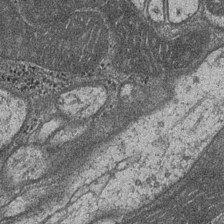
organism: Drosophila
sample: Optic medulla